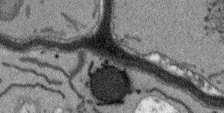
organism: Arabidopsis thaliana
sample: Root tip